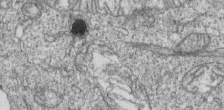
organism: Human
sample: HeLa cell HIV synapse